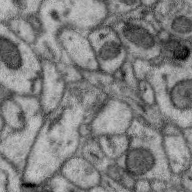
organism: Zebra finch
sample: Brain